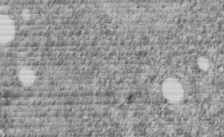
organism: C. elegans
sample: C. elegans embryo early stage